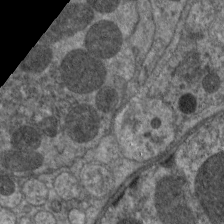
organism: C. elegans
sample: Pharynx